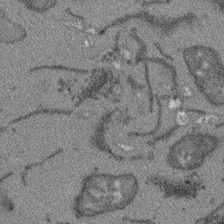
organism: Arabidopsis thaliana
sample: Root tip